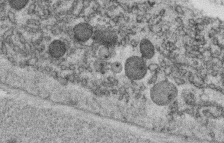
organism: C. elegans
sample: C. elegans oocyte; sperm cells